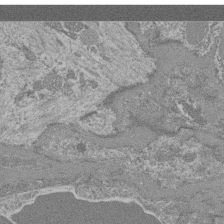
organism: Mouse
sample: Glomerulus